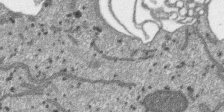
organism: Human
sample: Lung epithelial cells infected with SARS-CoV-2